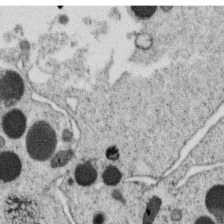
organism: C. elegans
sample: C. elegans oocyte; sperm cells